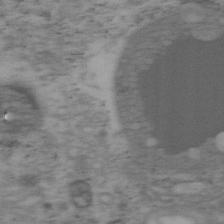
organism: Mouse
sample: OT-I killer T cells with ID8 ovarian cancer cells